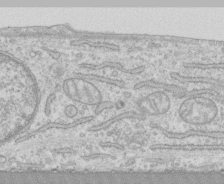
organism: Human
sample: CRL-1474